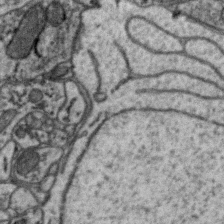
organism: Zebra finch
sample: Brain